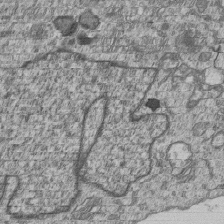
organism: Human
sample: MDA-MB-231 cells